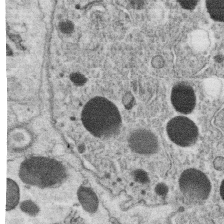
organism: C. elegans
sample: C. elegans oocyte; sperm cells